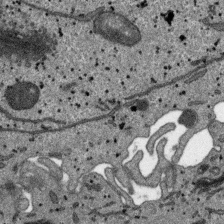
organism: Human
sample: Lung epithelial cells, uninfected (mock) control